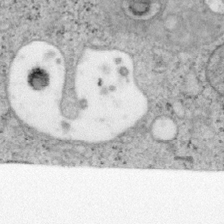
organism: Mouse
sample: OT-I killer T cells with ID8 ovarian cancer cells